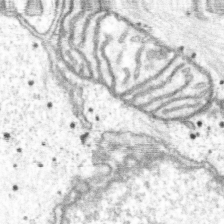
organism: Human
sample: HeLa cells